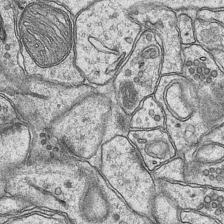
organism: Mouse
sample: CA1 Hippocampus